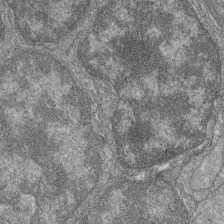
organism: Zebrafish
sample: Cilia; retinal pigment epithelium